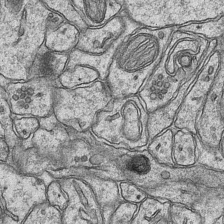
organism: Mouse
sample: CA1 Hippocampus